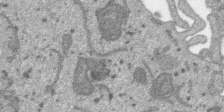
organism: Human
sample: Lung epithelial cells infected with SARS-CoV-2